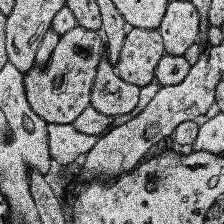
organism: Human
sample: Temporal Lobe